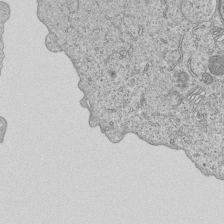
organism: Human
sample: MDA-MB-231 cells